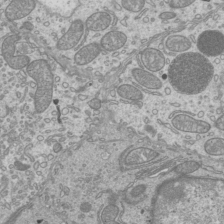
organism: Mouse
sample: Cilia; mouse epididymis